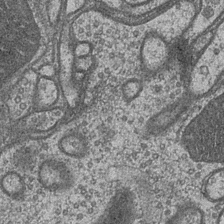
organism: Drosophila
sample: Optic medulla